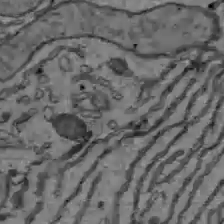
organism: C57BL Mouse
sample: Liver